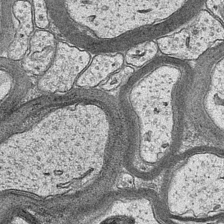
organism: Mouse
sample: CA1 Hippocampus